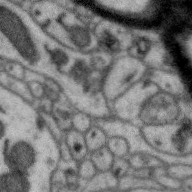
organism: Zebra finch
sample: Brain